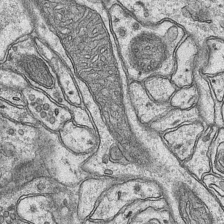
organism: Mouse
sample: CA1 Hippocampus